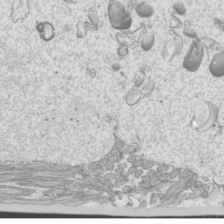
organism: Mouse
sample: Cilia; mouse epididymis